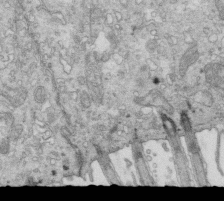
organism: Mouse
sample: Multiciliated cells